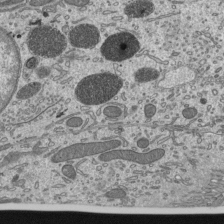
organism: Mouse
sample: Mouse epididymis efferent ductule cilia